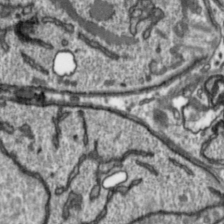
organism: Toxoplasma gondii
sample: Parasites in a vacuole inside a host cell